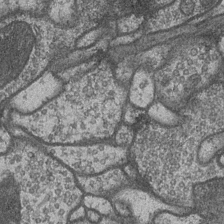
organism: Drosophila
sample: Optic medulla